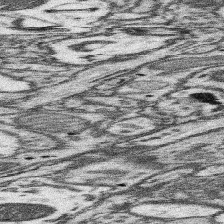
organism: Mouse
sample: Somatosensory cortex neuropil